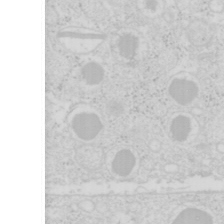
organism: Mouse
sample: Pancreas